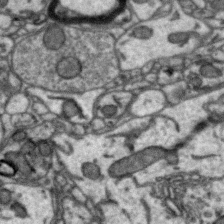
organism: Zebra finch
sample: Brain